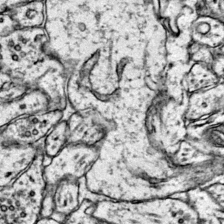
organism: Mouse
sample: Primary visual cortex